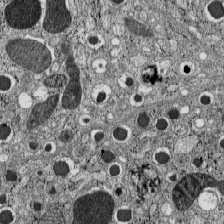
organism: C57BL Mouse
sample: Pancreatic islet